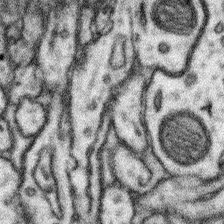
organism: Mouse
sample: Somatosensory cortex neuropil